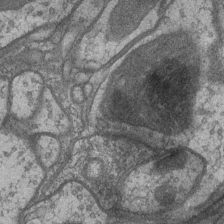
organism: Drosophila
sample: Optic medulla